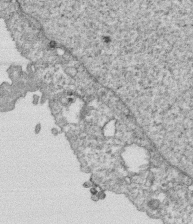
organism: Human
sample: HeLa cell HIV synapse